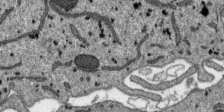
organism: Human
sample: Lung epithelial cells, uninfected (mock) control